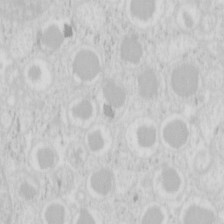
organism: Mouse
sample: Pancreas